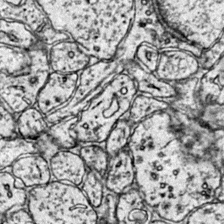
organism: Mouse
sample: Primary visual cortex